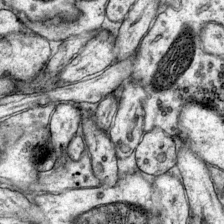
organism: Mouse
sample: Primary visual cortex